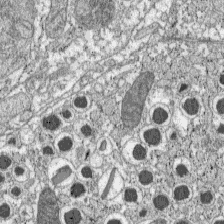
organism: C57BL Mouse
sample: Pancreatic islet